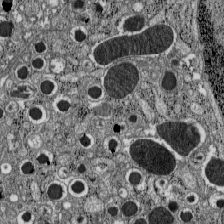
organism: C57BL Mouse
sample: Pancreatic islet